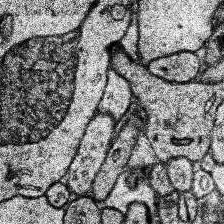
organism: Human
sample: Temporal Lobe